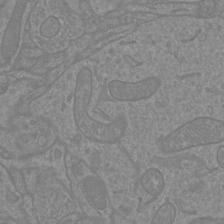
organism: Mouse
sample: Cortical neurons